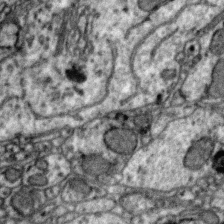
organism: Zebra finch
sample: Brain